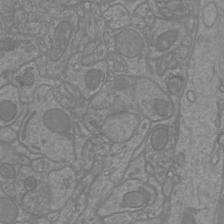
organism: Mouse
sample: Cortical neurons